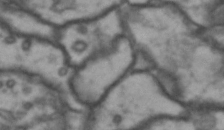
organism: Drosophila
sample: Brain